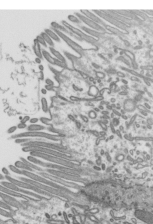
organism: Mouse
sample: Mouse epididymis efferent ductule cilia